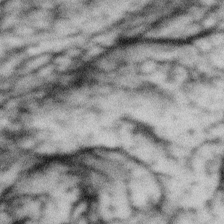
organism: Gemmata obscuriglobus